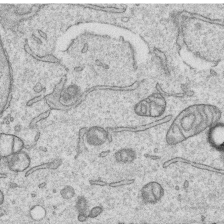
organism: Human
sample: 1205lu cells